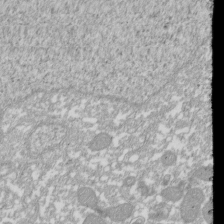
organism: Xenopus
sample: Cilia; centrioles in frog embryo cells